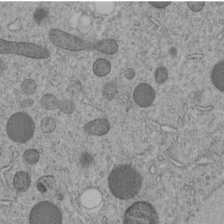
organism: C. elegans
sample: C. elegans embryo early stage